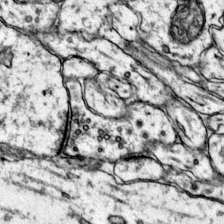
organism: Mouse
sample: Primary visual cortex